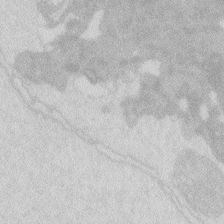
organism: Zebrafish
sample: Macrophage